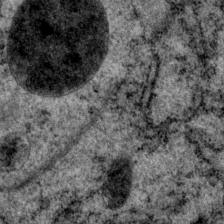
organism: P. pacificus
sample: Pharynx